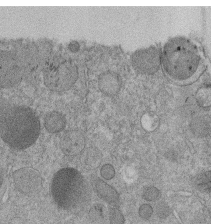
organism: C. elegans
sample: C. elegans embryo early stage